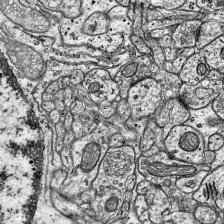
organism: Mouse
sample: Visual Cortex